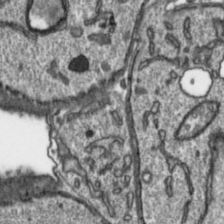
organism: Toxoplasma gondii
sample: Parasites in a vacuole inside a host cell